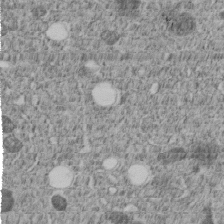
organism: C. elegans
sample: C. elegans embryo early stage